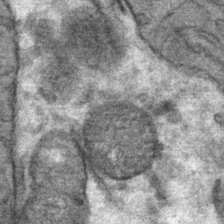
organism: Mouse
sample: Mouse Salivary gland